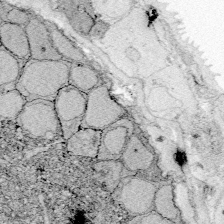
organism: Zebrafish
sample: Whole-Brain